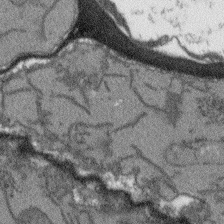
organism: Arabidopsis thaliana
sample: Root tip